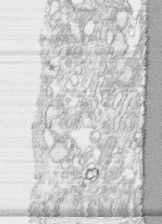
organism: Human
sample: CRL-1474